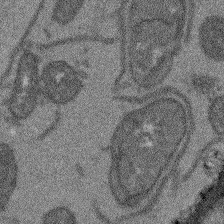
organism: Arabidopsis thaliana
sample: Root tip